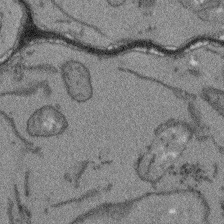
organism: Arabidopsis thaliana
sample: Root tip